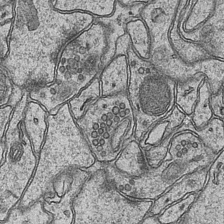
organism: Mouse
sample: CA1 Hippocampus